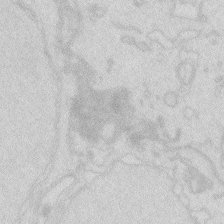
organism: Zebrafish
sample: Macrophage